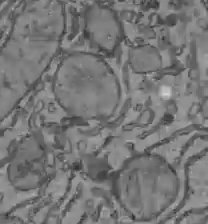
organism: C57BL Mouse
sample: Liver